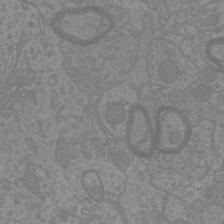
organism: Mouse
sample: Cortical neurons